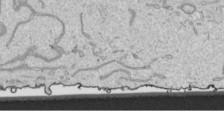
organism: Human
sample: Mitochondria in HCT116 cells